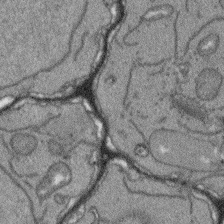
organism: Arabidopsis thaliana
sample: Root tip